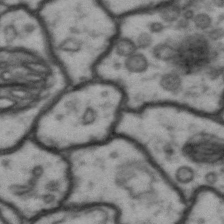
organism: Drosophila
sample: Brain